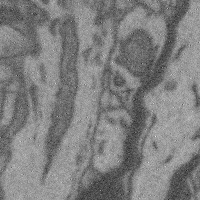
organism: Mouse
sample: Cerebral cortex